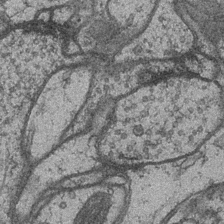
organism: Drosophila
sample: Optic medulla